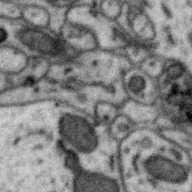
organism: Zebra finch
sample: Brain